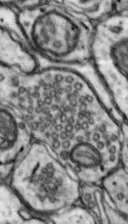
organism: Mouse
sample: Nucleus accumbens